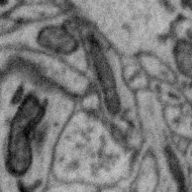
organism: Zebra finch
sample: Brain